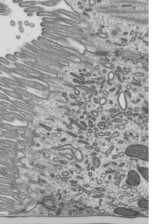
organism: Mouse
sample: Mouse epididymis efferent ductule cilia